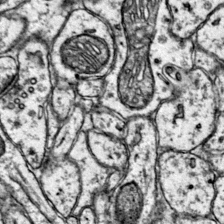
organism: Mouse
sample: Primary visual cortex